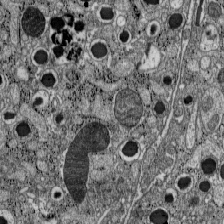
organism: C57BL Mouse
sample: Pancreatic islet